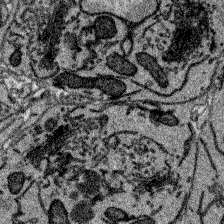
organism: Zebrafish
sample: Larval olfactory bulb